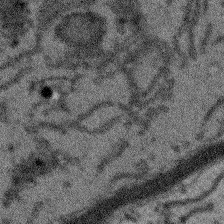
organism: Arabidopsis thaliana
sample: Root tip